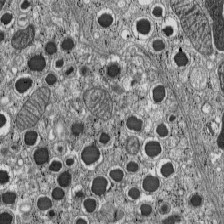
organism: C57BL Mouse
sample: Pancreatic islet